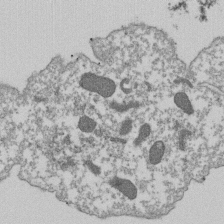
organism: Dictyostelium discoideum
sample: Dictyostelium multivesicular bodies